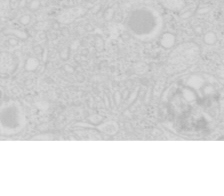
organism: Mouse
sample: Pancreas